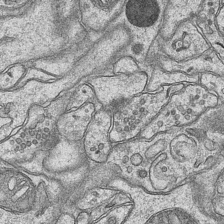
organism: Mouse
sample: CA1 Hippocampus